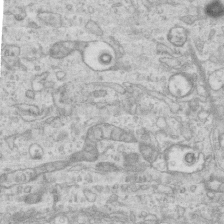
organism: Mouse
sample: Centriole in ependymal cells